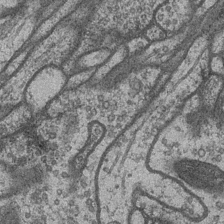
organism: Drosophila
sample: Optic medulla